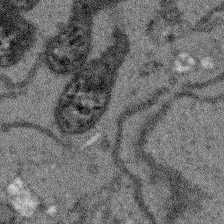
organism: Arabidopsis thaliana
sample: Root tip